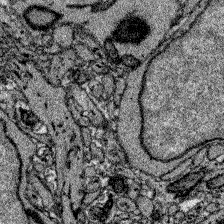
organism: Zebrafish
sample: Larval olfactory bulb